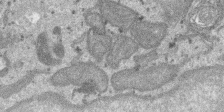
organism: Human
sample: Lung epithelial cells infected with SARS-CoV-2